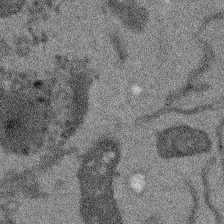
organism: Arabidopsis thaliana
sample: Root tip